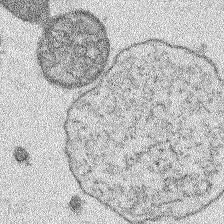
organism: Human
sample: HeLa cells